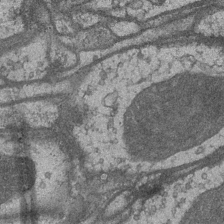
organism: Drosophila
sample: Optic medulla